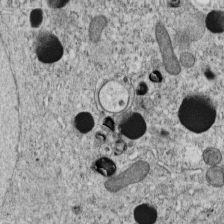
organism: C. elegans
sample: C. elegans embryo early stage